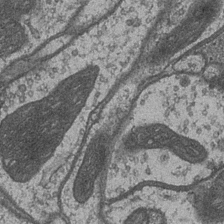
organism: Drosophila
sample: Optic medulla